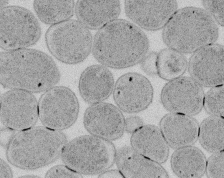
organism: E. coli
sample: Bacterial nucleoid